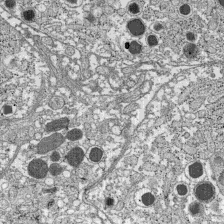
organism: C57BL Mouse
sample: Pancreatic islet